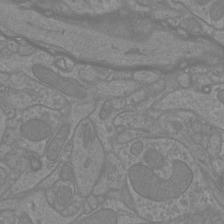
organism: Mouse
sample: Cortical neurons